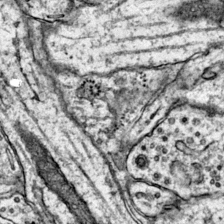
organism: Mouse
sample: Primary visual cortex